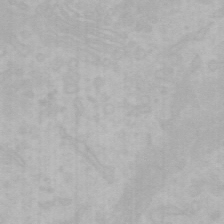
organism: Mouse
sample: Choroid plexus